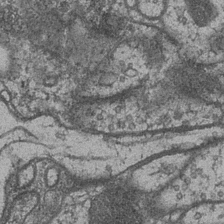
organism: Drosophila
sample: Optic medulla